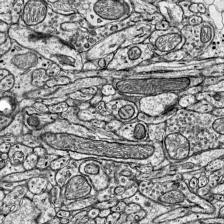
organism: Mouse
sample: Visual Cortex